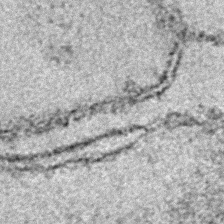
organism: E. coli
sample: E. Coli Bacteria